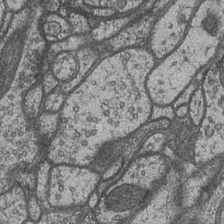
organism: Drosophila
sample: Optic medulla